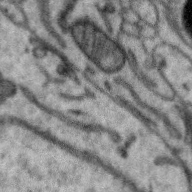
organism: Zebra finch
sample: Brain